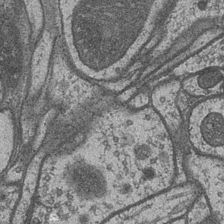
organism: Drosophila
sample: Optic medulla